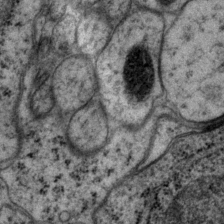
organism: P. pacificus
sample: Pharynx